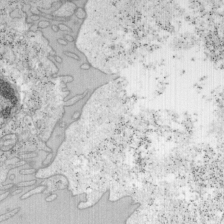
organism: Mouse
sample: OT-I killer T cells with ID8 ovarian cancer cells